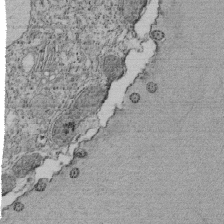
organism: Tetrahymena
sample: Cilia in tetrahymena